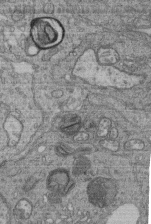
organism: Human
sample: Retinal organoid Rod and Cone cells